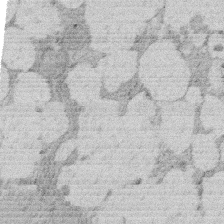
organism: Rat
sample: Salivary granule